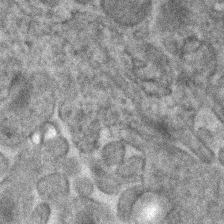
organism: Human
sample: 1205lu cells